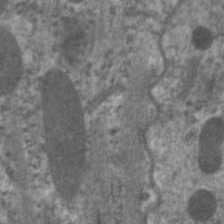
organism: C. elegans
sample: Pharynx